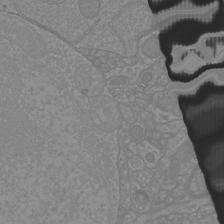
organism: Mouse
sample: Cortical neurons